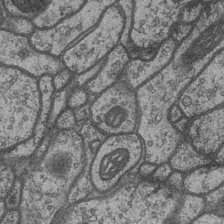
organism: Drosophila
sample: Optic medulla